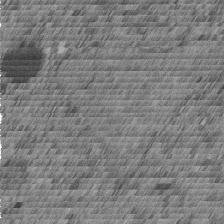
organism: C. elegans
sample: C. elegans embryo early stage